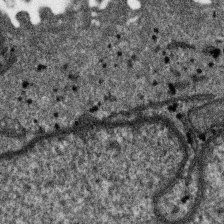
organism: Human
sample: Lung epithelial cells infected with SARS-CoV-2